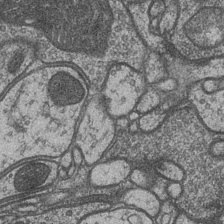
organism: Drosophila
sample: Optic medulla